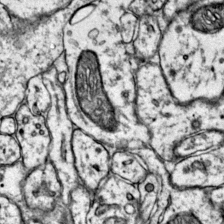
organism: Mouse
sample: Primary visual cortex